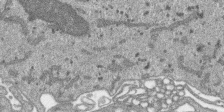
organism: Human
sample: Lung epithelial cells infected with SARS-CoV-2